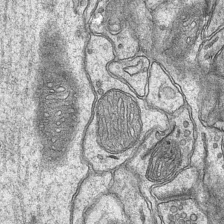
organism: Mouse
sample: CA1 Hippocampus